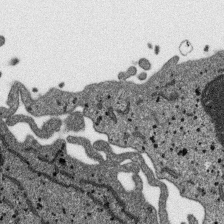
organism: Human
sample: Lung epithelial cells infected with SARS-CoV-2